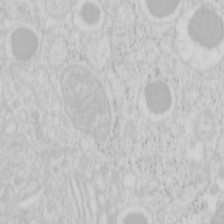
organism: Mouse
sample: Pancreas